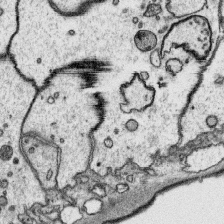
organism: Platynereis dumerilii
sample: Parapodia